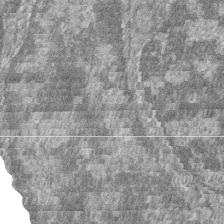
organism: Zebrafish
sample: Cilia; retinal pigment epithelium